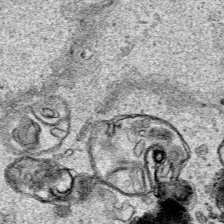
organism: Human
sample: Mitochondria in HCT116 cells